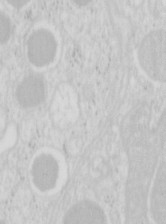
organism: Mouse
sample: Pancreas